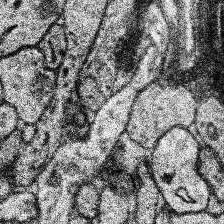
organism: Human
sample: Temporal Lobe